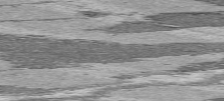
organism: C57BL Mouse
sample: Heart